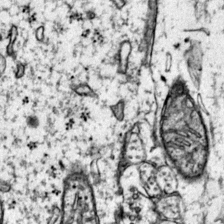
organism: Mouse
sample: Primary visual cortex